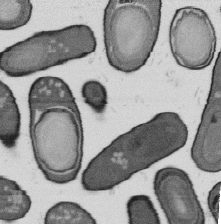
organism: B. subtilis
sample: Bacterial spore